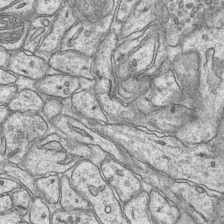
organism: Mouse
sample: CA1 Hippocampus